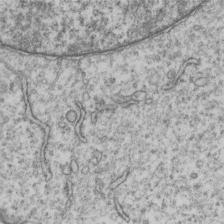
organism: Human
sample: MDA-MB-231 cells